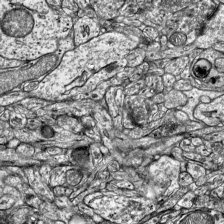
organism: Mouse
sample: Visual Cortex